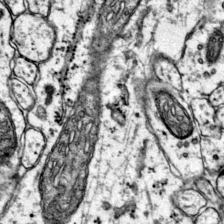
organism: Mouse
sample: Primary visual cortex